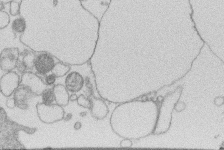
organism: Human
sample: Macrophage cells